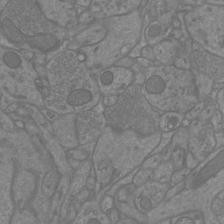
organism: Mouse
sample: Cortical neurons